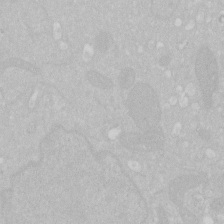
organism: Human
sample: HIV infected U937 cells